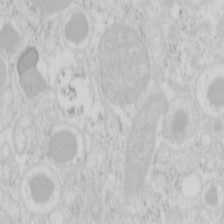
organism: Mouse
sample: Pancreas